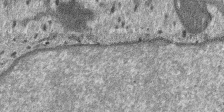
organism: Human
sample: Lung epithelial cells infected with SARS-CoV-2